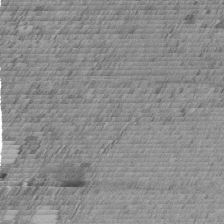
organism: C. elegans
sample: C. elegans embryo early stage